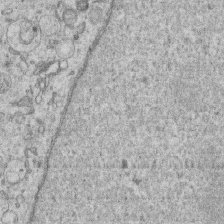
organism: Human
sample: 1205lu cells